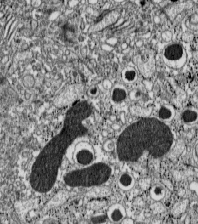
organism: C57BL Mouse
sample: Pancreatic islet